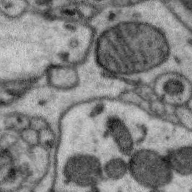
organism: Zebra finch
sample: Brain